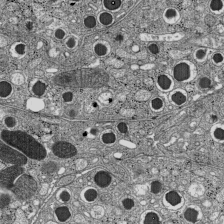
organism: C57BL Mouse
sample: Pancreatic islet